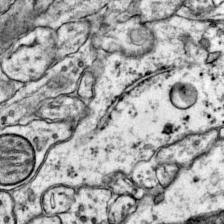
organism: Mouse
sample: Primary visual cortex